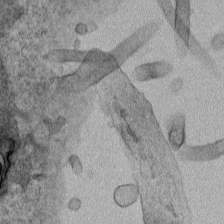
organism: Human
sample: Mitochondria in HCT116 cells